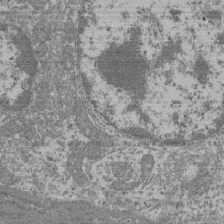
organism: Mouse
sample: Glomerulus